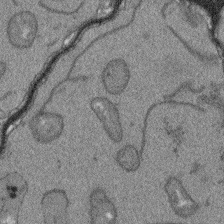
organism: Arabidopsis thaliana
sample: Root tip